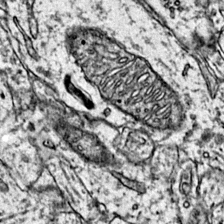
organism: Mouse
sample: Primary visual cortex